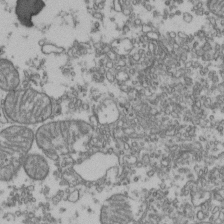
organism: Human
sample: Activated Jurkat CD4+ T cells